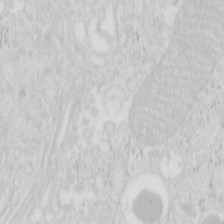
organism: Mouse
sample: Pancreas